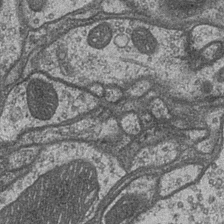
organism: Drosophila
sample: Optic medulla